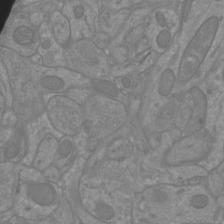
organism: Mouse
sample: Cortical neurons